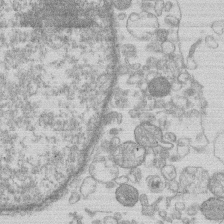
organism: Human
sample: Macrophage cells